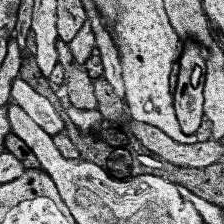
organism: Human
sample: Temporal Lobe